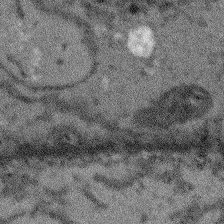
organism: Arabidopsis thaliana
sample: Root tip